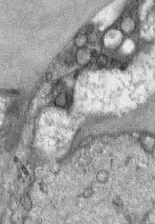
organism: Mouse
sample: Corneal nerves